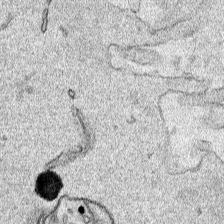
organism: Human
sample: Mitochondria in HCT116 cells